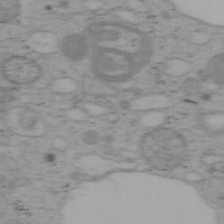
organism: Mouse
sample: OT-I killer T cells with ID8 ovarian cancer cells